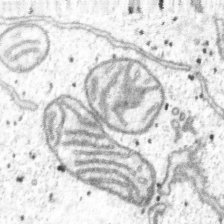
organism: Human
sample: HeLa cells